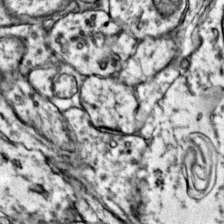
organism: Mouse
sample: Primary visual cortex